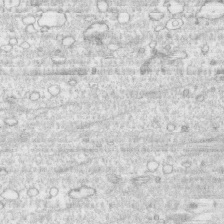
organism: Human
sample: CRL-1474